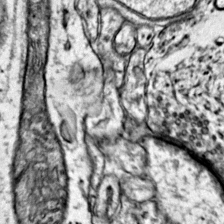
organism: Mouse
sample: Primary visual cortex